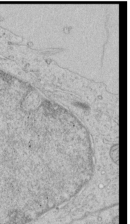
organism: Human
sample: Mitochondria in HCT116 cells